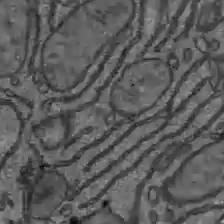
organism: C57BL Mouse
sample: Liver